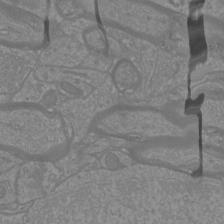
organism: Mouse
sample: Cortical neurons